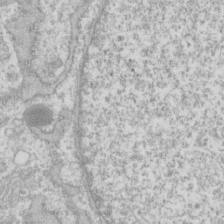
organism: Human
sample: Fibroblast cells